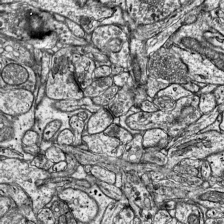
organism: Mouse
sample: Visual Cortex